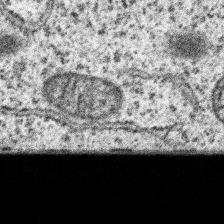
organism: Human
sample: HeLa cells